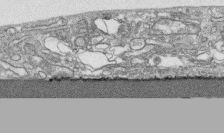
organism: Human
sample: CRL-1474